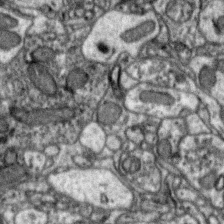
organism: Zebra finch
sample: Brain